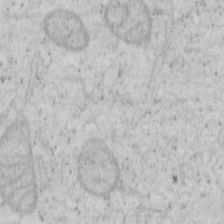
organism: Human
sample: HeLa cells